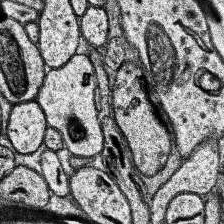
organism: Human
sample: Temporal Lobe